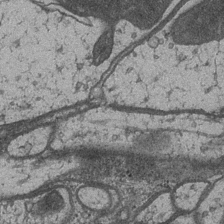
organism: Drosophila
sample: Optic medulla